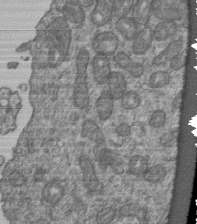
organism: Human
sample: Retinal organoid Rod and Cone cells